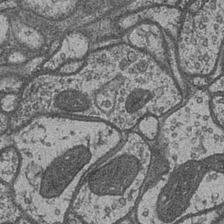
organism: Drosophila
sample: Optic medulla